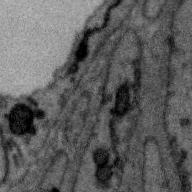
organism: Zebra finch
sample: Brain